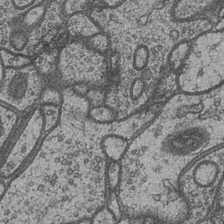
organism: Drosophila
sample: Optic medulla